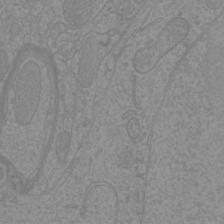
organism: Mouse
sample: Cortical neurons